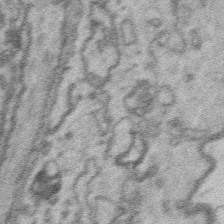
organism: Platynereis dumerilii